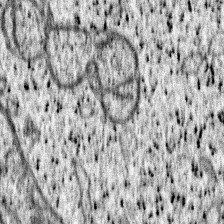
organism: Human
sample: HeLa cells